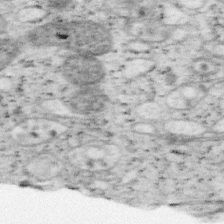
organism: Mouse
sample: OT-I killer T cells with ID8 ovarian cancer cells